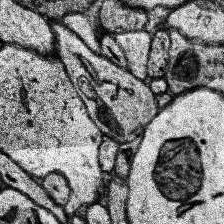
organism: Human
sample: Temporal Lobe